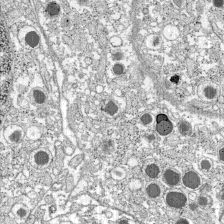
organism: C57BL Mouse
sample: Pancreatic islet